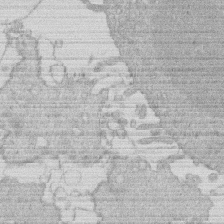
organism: Human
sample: Macrophage cells